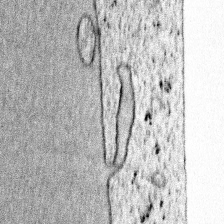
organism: Human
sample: HeLa cells